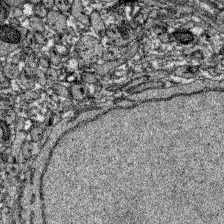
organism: Zebrafish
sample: Larval olfactory bulb